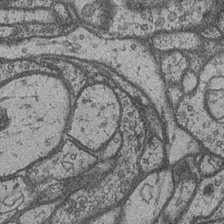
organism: Drosophila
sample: Optic medulla